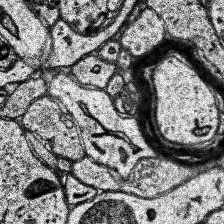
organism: Human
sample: Temporal Lobe